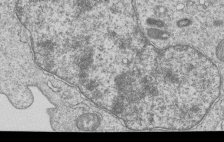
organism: Human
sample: MDA-MB-231 cells